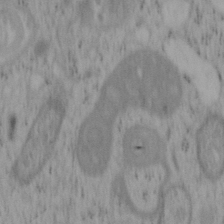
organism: Mouse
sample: OT-I killer T cells with ID8 ovarian cancer cells